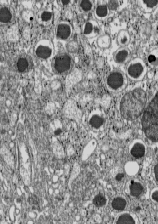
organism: C57BL Mouse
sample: Pancreatic islet